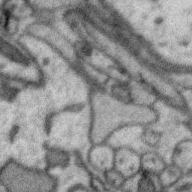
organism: Zebra finch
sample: Brain